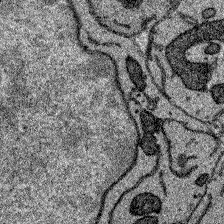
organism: Zebrafish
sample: Larval olfactory bulb